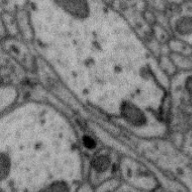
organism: Zebra finch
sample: Brain